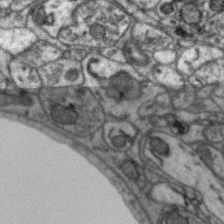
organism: Zebra finch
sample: Brain